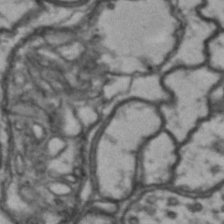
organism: Drosophila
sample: Brain